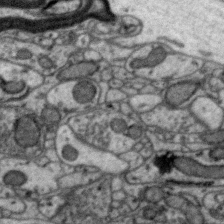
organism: Zebra finch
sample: Brain